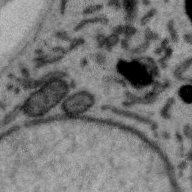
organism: Zebra finch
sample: Brain